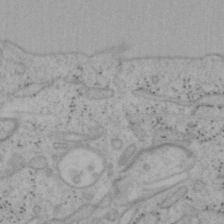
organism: Human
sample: HeLa cells